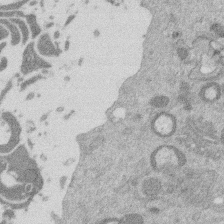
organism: Mouse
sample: Dividing mouse embryo 1 cell stage